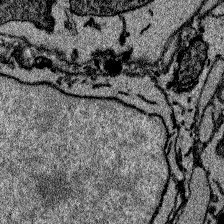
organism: Zebrafish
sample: Larval olfactory bulb